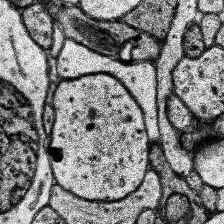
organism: Human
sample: Temporal Lobe